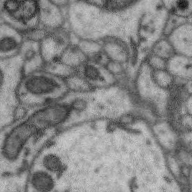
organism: Zebra finch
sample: Brain